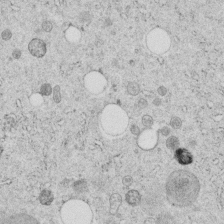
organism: C. elegans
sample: C. elegans embryo early stage